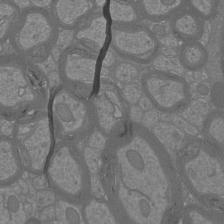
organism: Mouse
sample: Cortical neurons